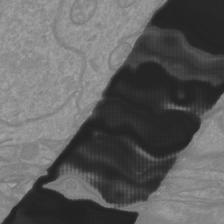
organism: Mouse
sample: Cortical neurons